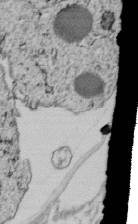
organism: C. elegans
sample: C. elegans embryo early stage